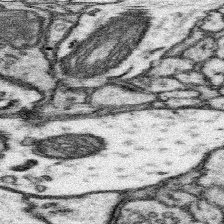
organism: Mouse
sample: Somatosensory cortex neuropil